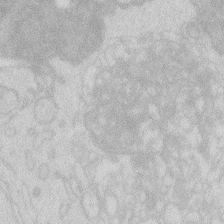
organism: Zebrafish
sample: Macrophage